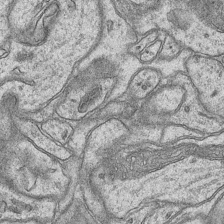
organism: Mouse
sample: CA1 Hippocampus